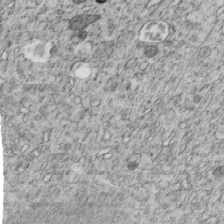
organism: C. elegans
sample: C. elegans embryo early stage